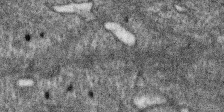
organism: Human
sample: Lung epithelial cells infected with SARS-CoV-2